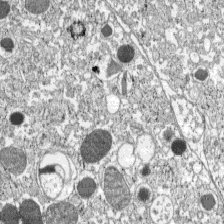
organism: C57BL Mouse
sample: Pancreatic islet